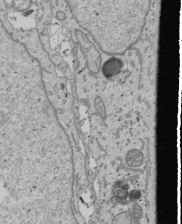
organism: Human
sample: Mitochondria in U2OS cells